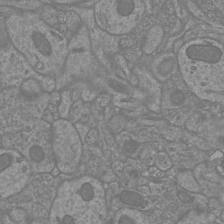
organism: Mouse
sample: Cortical neurons